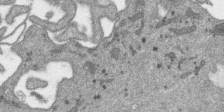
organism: Human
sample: Lung epithelial cells infected with SARS-CoV-2